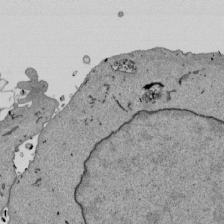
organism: Mouse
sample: ED-1 cell nuclei; centrioles